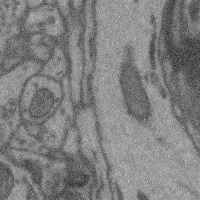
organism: Mouse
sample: Cerebral cortex